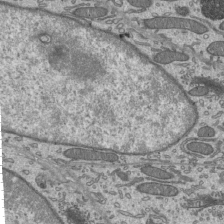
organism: Mouse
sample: Mouse epididymis efferent ductule cilia